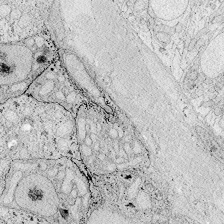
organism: Zebrafish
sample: Whole-Brain